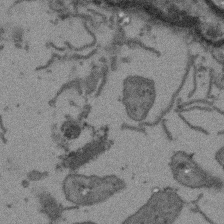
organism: Arabidopsis thaliana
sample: Root tip